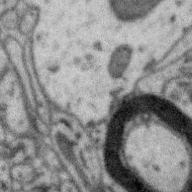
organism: Zebra finch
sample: Brain